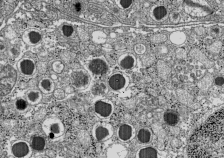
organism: C57BL Mouse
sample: Pancreatic islet